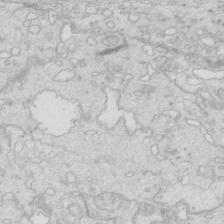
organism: Mouse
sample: Multiciliated cells